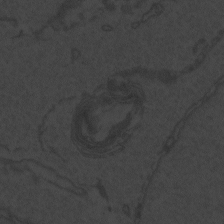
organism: Zebrafish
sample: Macrophage infected with Toxoplasma gondii